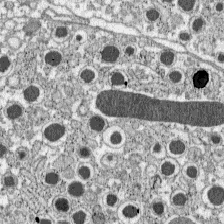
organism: C57BL Mouse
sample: Pancreatic islet